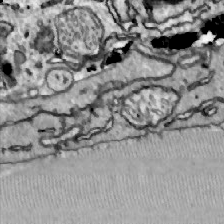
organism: Zebrafish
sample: Actinotrichia fibers